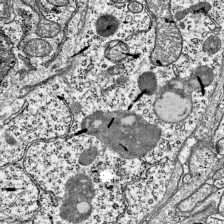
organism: Mouse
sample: Visual Cortex